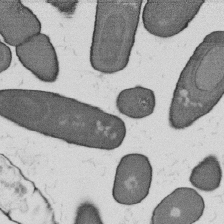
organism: B. subtilis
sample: Bacterial spore